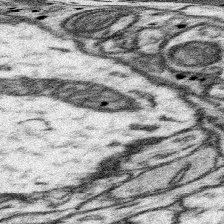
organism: Mouse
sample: Somatosensory cortex neuropil